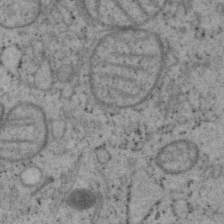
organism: Human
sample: HeLa cells